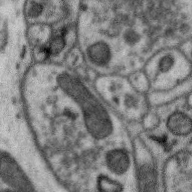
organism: Zebra finch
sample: Brain